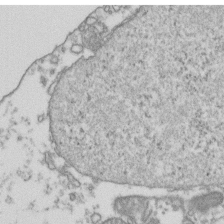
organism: Human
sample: Activated Jurkat CD4+ T cells